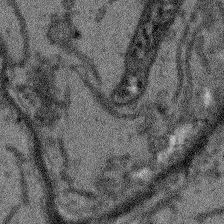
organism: Arabidopsis thaliana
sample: Root tip